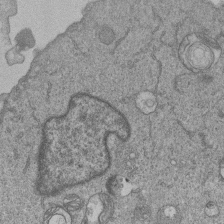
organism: Human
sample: MDA-MB-231 cells